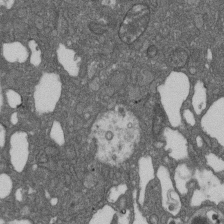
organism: Drosophila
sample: Nephrocyte